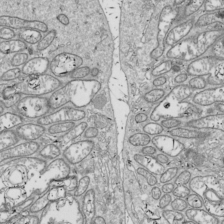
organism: Drosophila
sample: Cell division; meiosis; drosophila spermatocytes